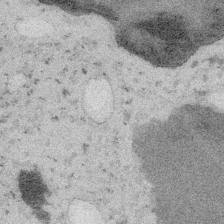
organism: Embia sp.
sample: Silk gland